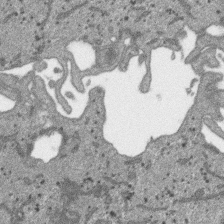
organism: Human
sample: Lung epithelial cells infected with SARS-CoV-2